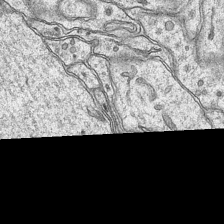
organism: Mouse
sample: CA1 Hippocampus